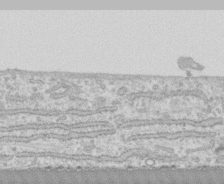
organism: Human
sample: CRL-1474